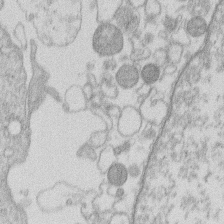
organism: Human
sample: Macrophage cells